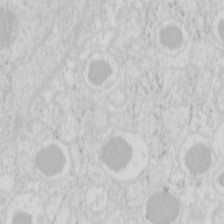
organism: Mouse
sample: Pancreas